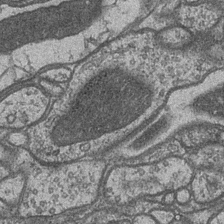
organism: Drosophila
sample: Optic medulla